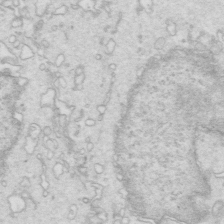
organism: Mouse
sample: Multiciliated cells